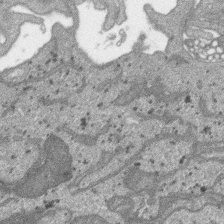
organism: Human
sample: Lung epithelial cells infected with SARS-CoV-2